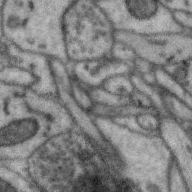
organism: Zebra finch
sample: Brain